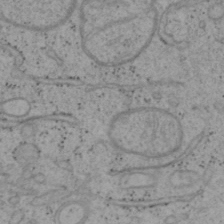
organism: Human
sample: HeLa cells